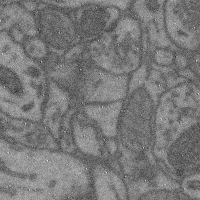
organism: Mouse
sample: Cerebral cortex